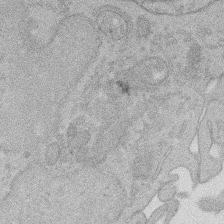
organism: Rat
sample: Salivary granule